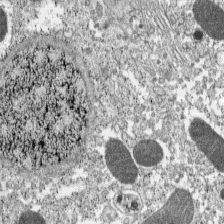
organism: C57BL Mouse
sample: Pancreatic islet